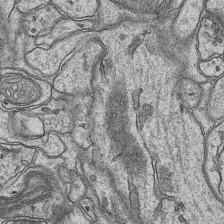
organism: Mouse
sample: CA1 Hippocampus